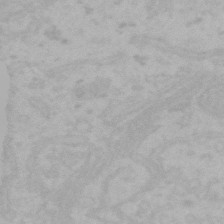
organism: Mouse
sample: Choroid plexus